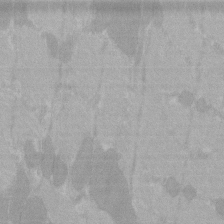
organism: C57BL Mouse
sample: Tibialis anterior muscle cell